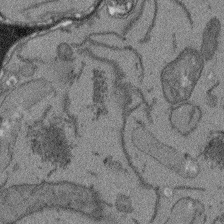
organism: Arabidopsis thaliana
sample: Root tip